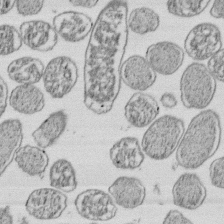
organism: E. coli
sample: Bacterial nucleoid